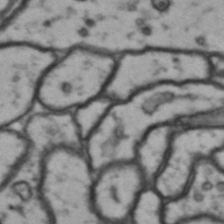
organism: Drosophila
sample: Brain